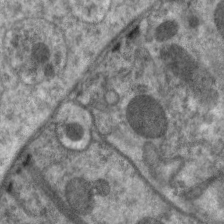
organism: C. elegans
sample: Pharynx